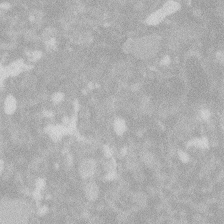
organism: Zebrafish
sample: Macrophage